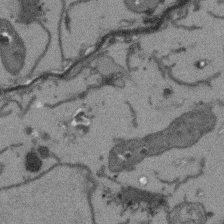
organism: Arabidopsis thaliana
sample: Root tip